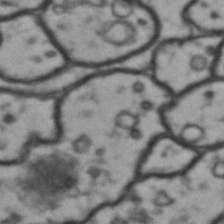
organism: Drosophila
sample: Brain